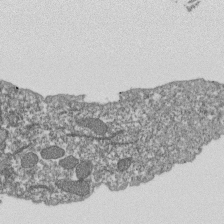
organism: Dictyostelium discoideum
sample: Dictyostelium multivesicular bodies